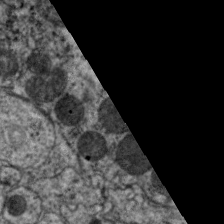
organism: C. elegans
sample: Pharynx